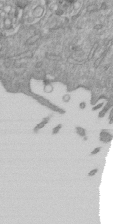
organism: Mouse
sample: ED-1 cell nuclei; centrioles